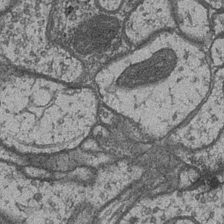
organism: Drosophila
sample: Optic medulla